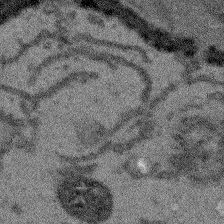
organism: Arabidopsis thaliana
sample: Root tip